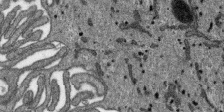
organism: Human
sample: Lung epithelial cells, uninfected (mock) control